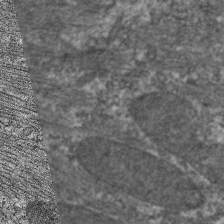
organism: C. elegans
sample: Pharynx